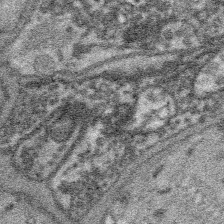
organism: Platynereis dumerilii